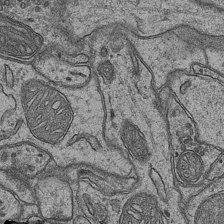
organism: Mouse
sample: CA1 Hippocampus